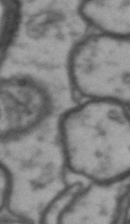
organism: Drosophila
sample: Brain